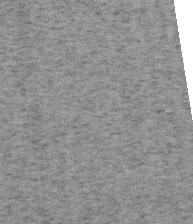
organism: Mouse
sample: OT-I killer T cells with ID8 ovarian cancer cells